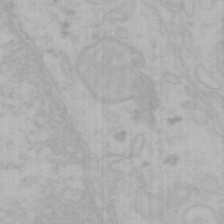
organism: Mouse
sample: Choroid plexus